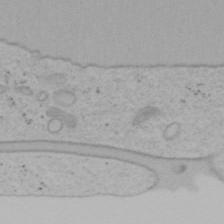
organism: Human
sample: HeLa cells